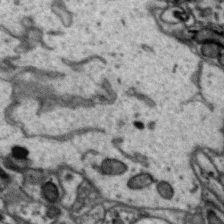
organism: Zebra finch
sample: Brain